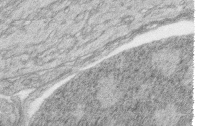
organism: Zebrafish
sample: synaptic ribbons in rod cells and cone cells